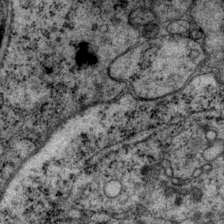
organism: P. pacificus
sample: Pharynx